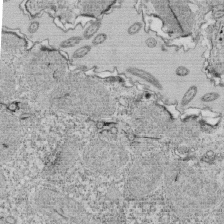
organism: Tetrahymena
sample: Cilia in tetrahymena